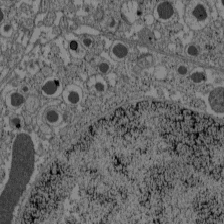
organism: C57BL Mouse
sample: Pancreatic islet